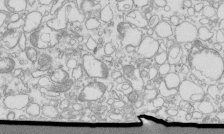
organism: Mouse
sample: Macrophages